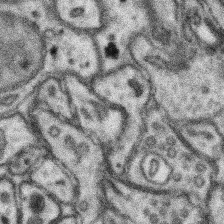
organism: Mouse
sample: Somatosensory cortex neuropil